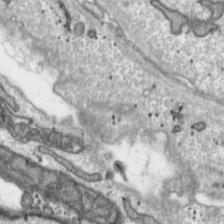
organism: Toxoplasma gondii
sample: Parasites in a vacuole inside a host cell